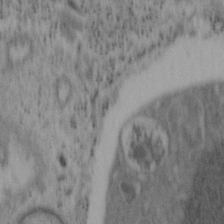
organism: Mouse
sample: OT-I killer T cells with ID8 ovarian cancer cells